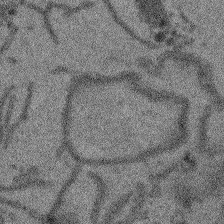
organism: Arabidopsis thaliana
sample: Root tip